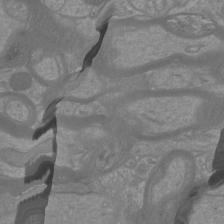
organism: Mouse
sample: Cortical neurons